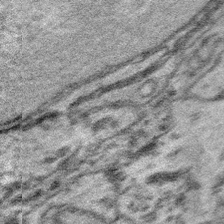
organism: Platynereis dumerilii